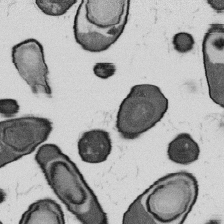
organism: B. subtilis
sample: Bacterial spore